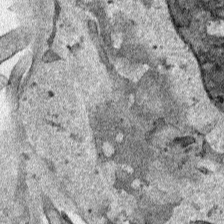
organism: Human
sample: Mitochondria in HCT116 cells